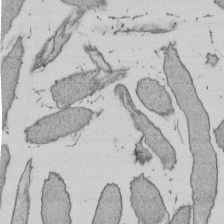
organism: E. coli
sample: Bacterial nucleoid